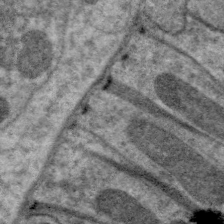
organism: C. elegans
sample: Pharynx